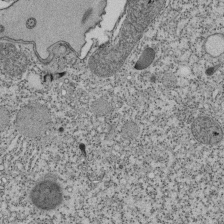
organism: Tetrahymena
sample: Cilia in tetrahymena